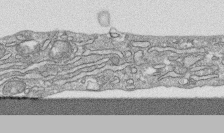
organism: Human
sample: CRL-1474